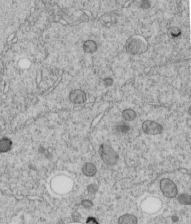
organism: C. elegans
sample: C. elegans embryo early stage